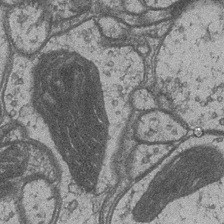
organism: Drosophila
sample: Optic medulla